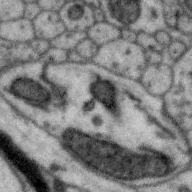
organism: Zebra finch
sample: Brain